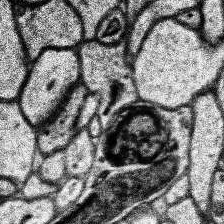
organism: Human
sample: Temporal Lobe